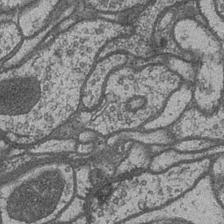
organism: Drosophila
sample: Optic medulla